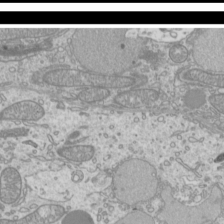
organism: Mouse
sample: Cilia; mouse epididymis